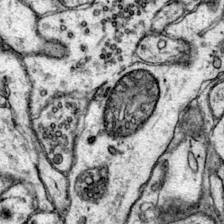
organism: Mouse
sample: Primary visual cortex